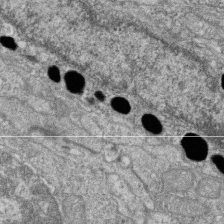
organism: Zebrafish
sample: Cilia; retinal pigment epithelium